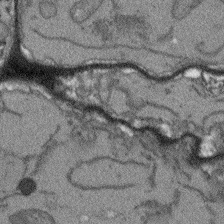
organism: Arabidopsis thaliana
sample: Root tip